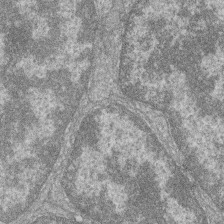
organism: Zebrafish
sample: Cilia; retinal pigment epithelium